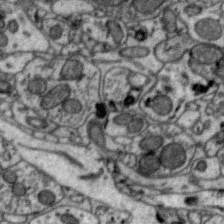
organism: Zebra finch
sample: Brain